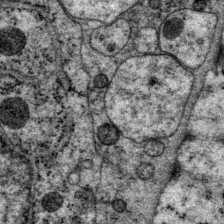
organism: P. pacificus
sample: Pharynx